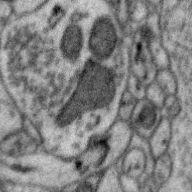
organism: Zebra finch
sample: Brain